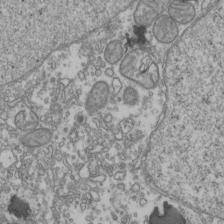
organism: Human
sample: Activated Jurkat CD4+ T cells